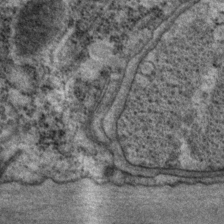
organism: P. pacificus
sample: Pharynx